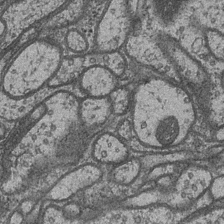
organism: Drosophila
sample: Optic medulla